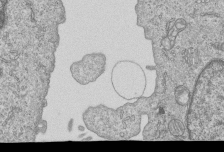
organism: Human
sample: MDA-MB-231 cells